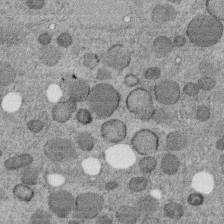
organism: C. elegans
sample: C. elegans embryo early stage